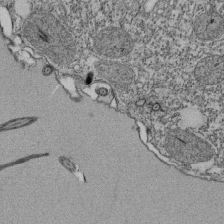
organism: Tetrahymena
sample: Cilia in tetrahymena